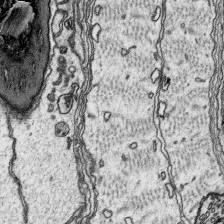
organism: Platynereis dumerilii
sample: Parapodia